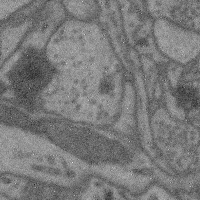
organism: Mouse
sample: Cerebral cortex